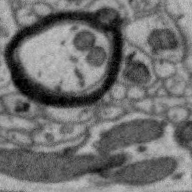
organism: Zebra finch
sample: Brain